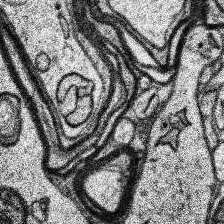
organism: Human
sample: Temporal Lobe